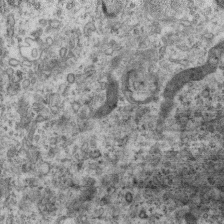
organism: Mouse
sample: Centriole in ependymal cells